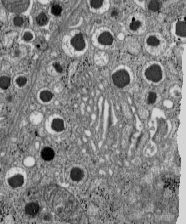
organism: C57BL Mouse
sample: Pancreatic islet